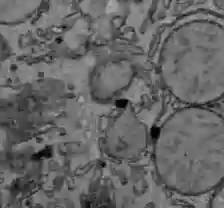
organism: C57BL Mouse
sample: Liver